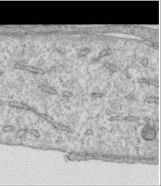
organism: Human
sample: Centriole in RPE cells